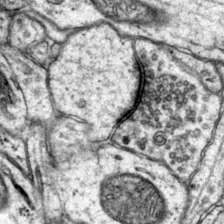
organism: Mouse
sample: Primary visual cortex